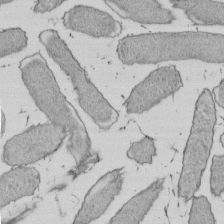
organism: E. coli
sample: Bacterial nucleoid